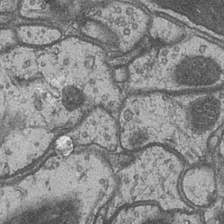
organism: Drosophila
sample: Optic medulla